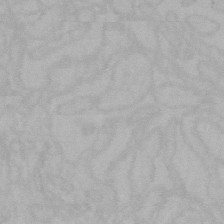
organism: Mouse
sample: Choroid plexus